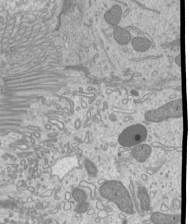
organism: Mouse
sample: Cilia; mouse epididymis